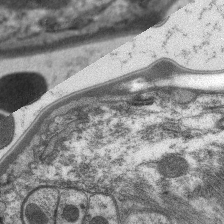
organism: C. elegans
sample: Pharynx